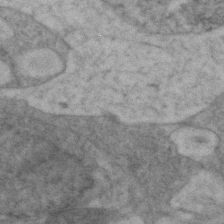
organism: Zebrafish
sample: Zebrafish embryo